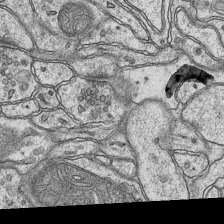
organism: Mouse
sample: CA1 Hippocampus